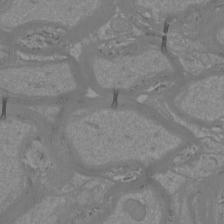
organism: Mouse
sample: Cortical neurons